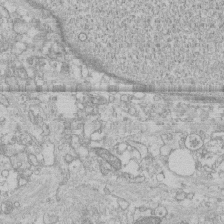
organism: Human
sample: CRL-1474